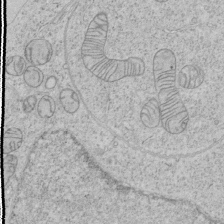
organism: Human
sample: Mitochondria in HCT116 cells